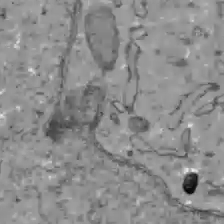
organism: C57BL Mouse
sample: Liver